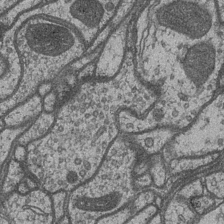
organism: Drosophila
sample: Optic medulla